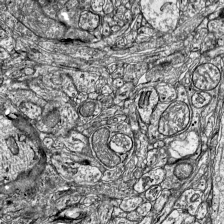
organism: Mouse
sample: Visual Cortex